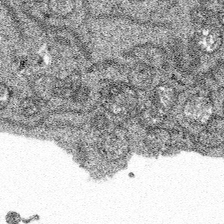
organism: Spongilla lacustris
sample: Multiple